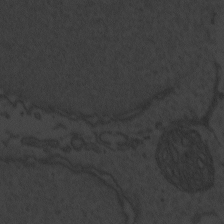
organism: Zebrafish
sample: Macrophage infected with Toxoplasma gondii